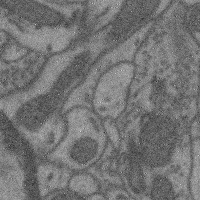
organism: Mouse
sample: Cerebral cortex